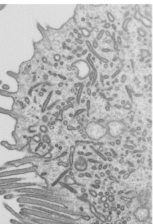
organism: Mouse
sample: Mouse epididymis efferent ductule cilia